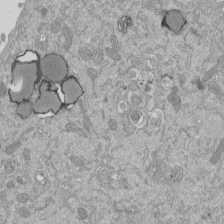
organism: Mouse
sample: ED-1 cell nuclei; centrioles